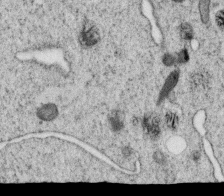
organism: C. elegans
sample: C. elegans oocyte; sperm cells